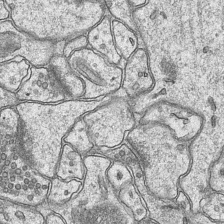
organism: Mouse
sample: CA1 Hippocampus